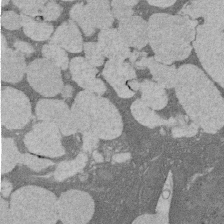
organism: Rat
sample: Salivary granule